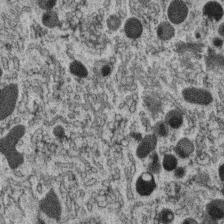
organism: C. elegans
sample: C. elegans oocyte; sperm cells